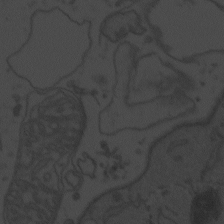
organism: Zebrafish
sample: Macrophage infected with Toxoplasma gondii